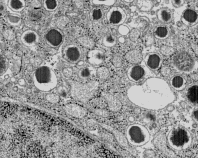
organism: C57BL Mouse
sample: Pancreatic islet